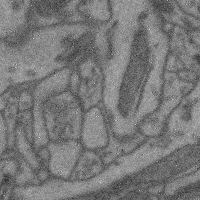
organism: Mouse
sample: Cerebral cortex